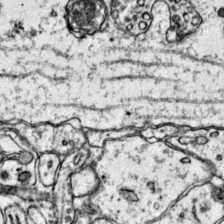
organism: Mouse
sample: Primary visual cortex